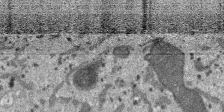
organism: Human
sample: Lung epithelial cells infected with SARS-CoV-2